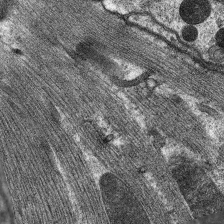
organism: C. elegans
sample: Pharynx